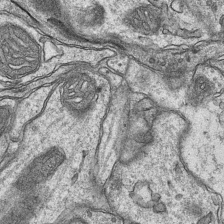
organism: Mouse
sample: CA1 Hippocampus